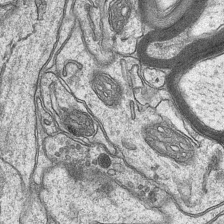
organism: Mouse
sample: CA1 Hippocampus